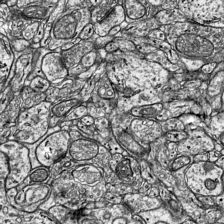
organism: Mouse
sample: Visual Cortex